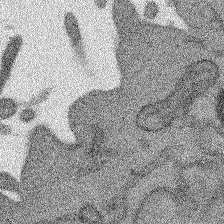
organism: Human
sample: HeLa cells